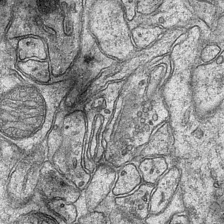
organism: Mouse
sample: CA1 Hippocampus